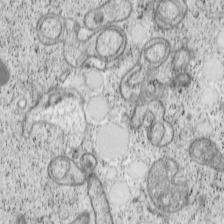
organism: African green monkey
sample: COS-7 cells